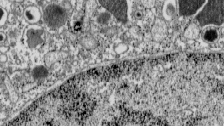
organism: C57BL Mouse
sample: Pancreatic islet